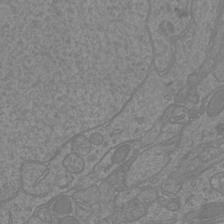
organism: Mouse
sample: Cortical neurons